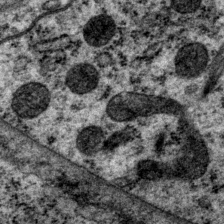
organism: P. pacificus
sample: Pharynx